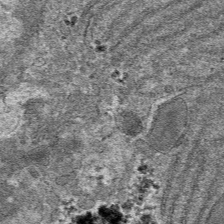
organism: Mouse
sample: Mouse hepatocytes